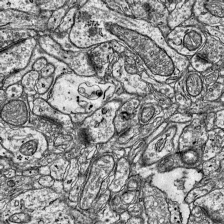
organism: Mouse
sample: Visual Cortex